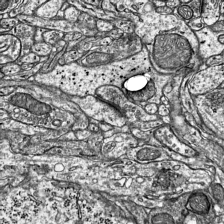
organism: Mouse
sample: Visual Cortex